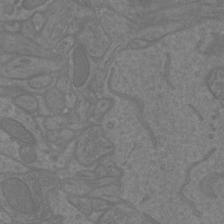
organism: Mouse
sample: Cortical neurons